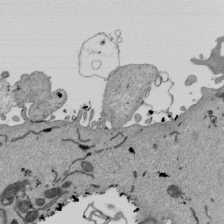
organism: Mouse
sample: ED-1 cell nuclei; centrioles